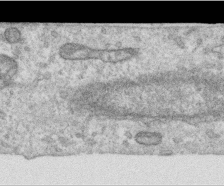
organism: Human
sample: Centriole in RPE cells